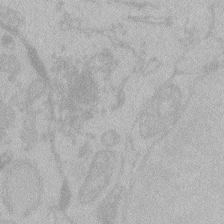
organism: Zebrafish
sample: Macrophage infected with Toxoplasma gondii